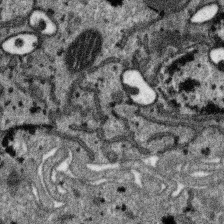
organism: Human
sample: Lung epithelial cells infected with SARS-CoV-2